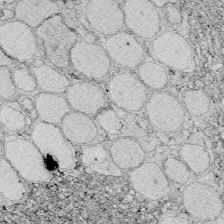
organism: Zebrafish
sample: Whole-Brain